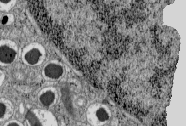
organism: C57BL Mouse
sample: Pancreatic islet